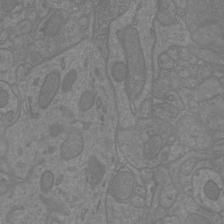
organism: Mouse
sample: Cortical neurons